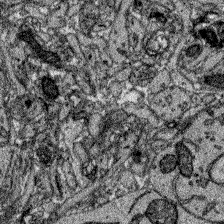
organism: Zebrafish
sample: Larval olfactory bulb